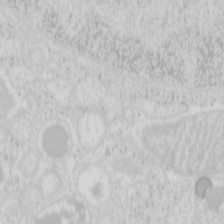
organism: Mouse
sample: Pancreas